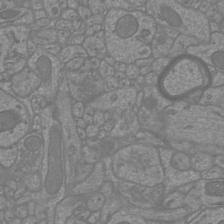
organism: Mouse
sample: Cortical neurons